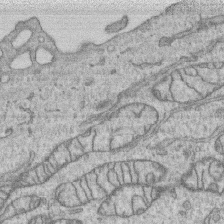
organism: Human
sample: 1205lu cells